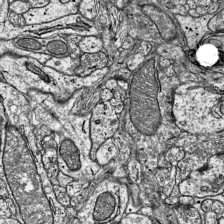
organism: Mouse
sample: Visual Cortex